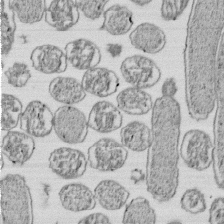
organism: E. coli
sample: Bacterial nucleoid